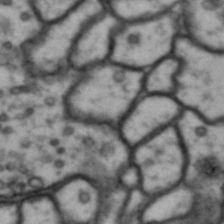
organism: Drosophila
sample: Brain